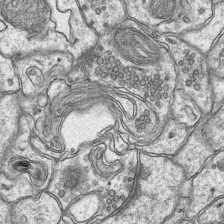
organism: Mouse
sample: CA1 Hippocampus